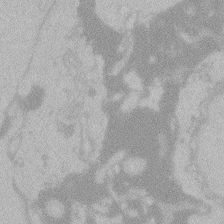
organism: Zebrafish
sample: Macrophage infected with Toxoplasma gondii